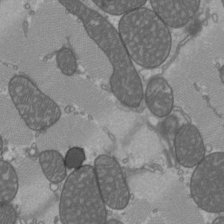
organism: C57BL Mouse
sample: Heart